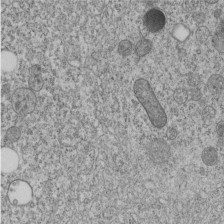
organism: C. elegans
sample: C. elegans embryo early stage